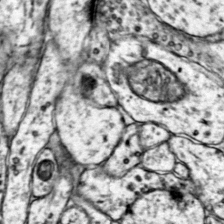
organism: Mouse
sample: Primary visual cortex